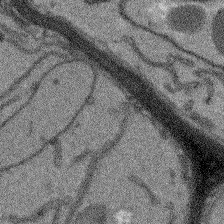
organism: Arabidopsis thaliana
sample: Root tip